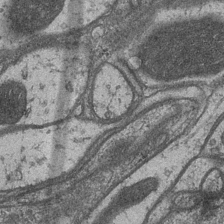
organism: Drosophila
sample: Optic medulla